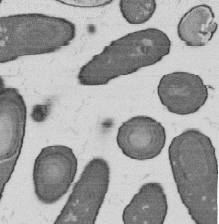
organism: B. subtilis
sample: Bacterial spore